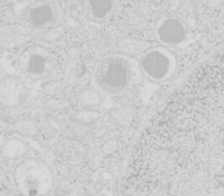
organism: Mouse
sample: Pancreas